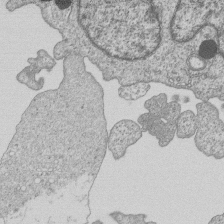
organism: Human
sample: MDA-MB-231 cells